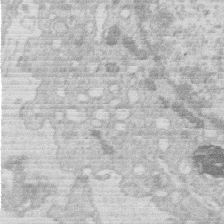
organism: Human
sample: Macrophage cells